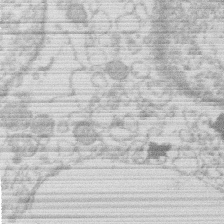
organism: Human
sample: Macrophage cells